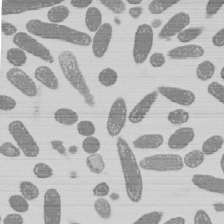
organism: E. coli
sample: Bacterial nucleoid